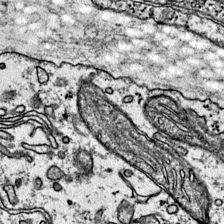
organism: Mouse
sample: Primary visual cortex